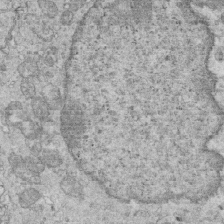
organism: Mouse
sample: Multiciliated cells